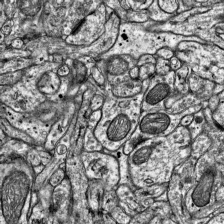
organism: Mouse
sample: Visual Cortex